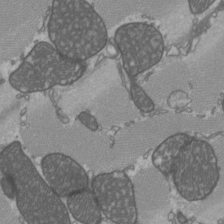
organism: C57BL Mouse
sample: Heart